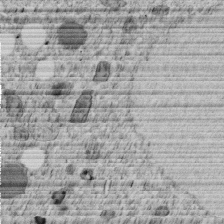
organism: C. elegans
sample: C. elegans embryo early stage